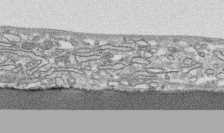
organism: Human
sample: CRL-1474